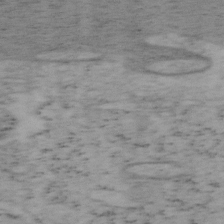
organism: Mouse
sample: OT-I killer T cells with ID8 ovarian cancer cells